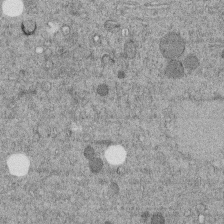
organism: C. elegans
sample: C. elegans embryo early stage